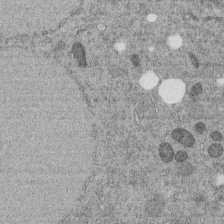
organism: C. elegans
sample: C. elegans embryo early stage